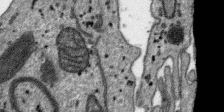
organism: Human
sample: Lung epithelial cells, uninfected (mock) control